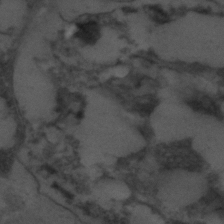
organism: C. elegans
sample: C. elegans embryo